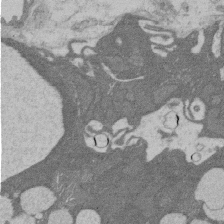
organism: Rat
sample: Salivary granule